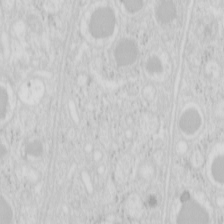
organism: Mouse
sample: Pancreas